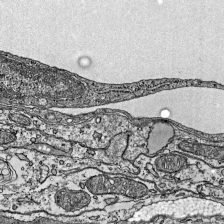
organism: Mouse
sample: Visual Cortex